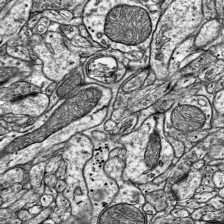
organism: Mouse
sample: Visual Cortex